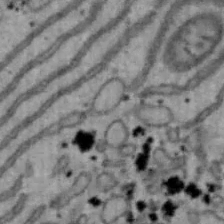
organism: Mouse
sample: Liver